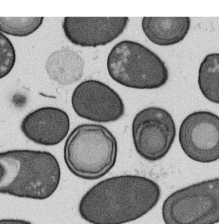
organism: B. subtilis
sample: Bacterial spore